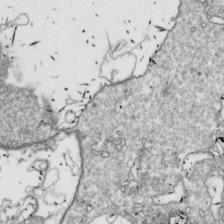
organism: Drosophila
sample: Cell division; meiosis; drosophila spermatocytes